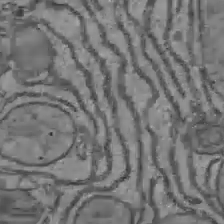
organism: C57BL Mouse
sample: Liver